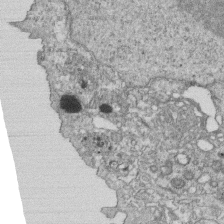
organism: Human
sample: HeLa cell HIV synapse